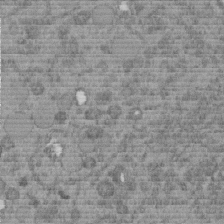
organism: C. elegans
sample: C. elegans embryo early stage